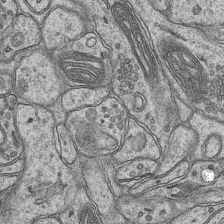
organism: Mouse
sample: CA1 Hippocampus